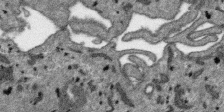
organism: Human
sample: Lung epithelial cells, uninfected (mock) control